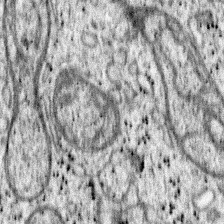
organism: Human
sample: HeLa cells